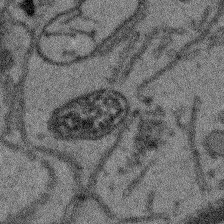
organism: Arabidopsis thaliana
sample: Root tip